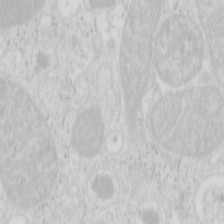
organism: Mouse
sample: Pancreas